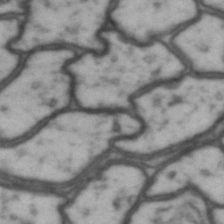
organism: Drosophila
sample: Brain